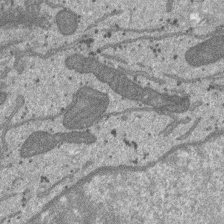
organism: Human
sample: Lung epithelial cells infected with SARS-CoV-2